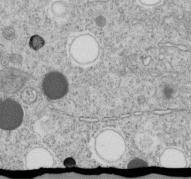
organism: C. elegans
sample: C. elegans embryo early stage